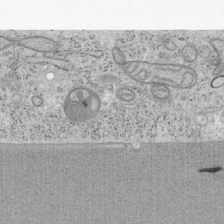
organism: Human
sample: HeLa cells